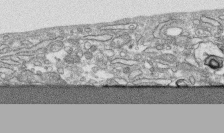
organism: Human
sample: CRL-1474